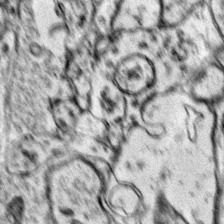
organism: Mouse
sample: Primary visual cortex